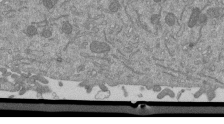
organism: Mouse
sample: ED-1 cell nuclei; centrioles